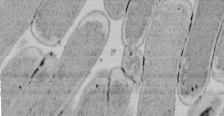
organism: E. coli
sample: Bacterial nucleoid